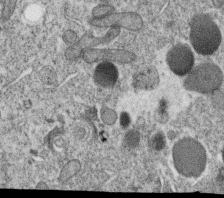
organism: C. elegans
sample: C. elegans oocyte; sperm cells